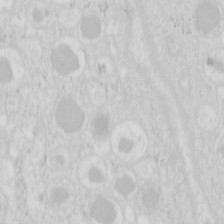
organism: Mouse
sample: Pancreas